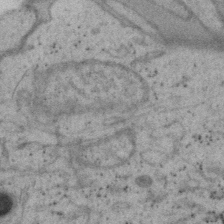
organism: Human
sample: HeLa cells